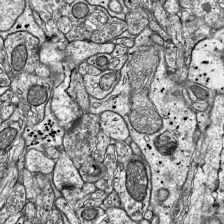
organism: Mouse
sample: Visual Cortex